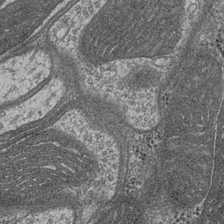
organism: Drosophila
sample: Optic medulla